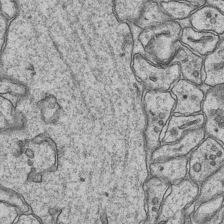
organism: Mouse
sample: CA1 Hippocampus